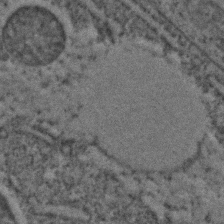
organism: C. elegans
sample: C. elegans embryo